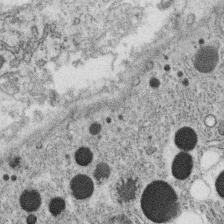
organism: C. elegans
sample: C. elegans oocyte; sperm cells